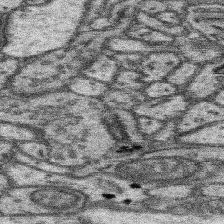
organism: Mouse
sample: Somatosensory cortex neuropil